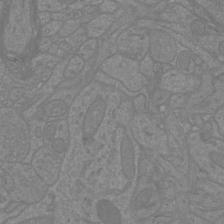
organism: Mouse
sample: Cortical neurons